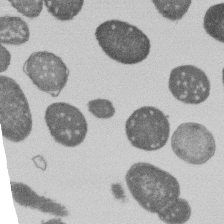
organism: E. coli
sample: Bacterial nucleoid